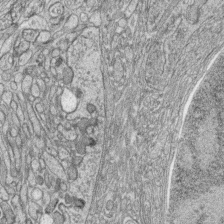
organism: Zebrafish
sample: synaptic ribbons in rod cells and cone cells